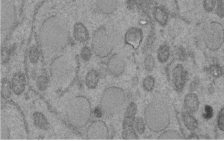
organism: C. elegans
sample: C. elegans embryo early stage